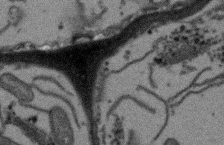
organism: Arabidopsis thaliana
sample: Root tip